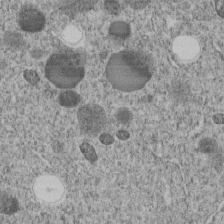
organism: C. elegans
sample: C. elegans embryo early stage